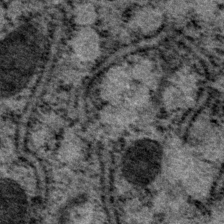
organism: P. pacificus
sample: Pharynx